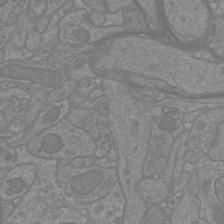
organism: Mouse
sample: Cortical neurons